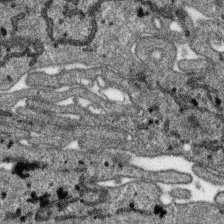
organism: Human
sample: Lung epithelial cells infected with SARS-CoV-2